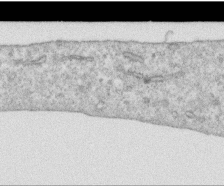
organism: Human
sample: Centriole in RPE cells